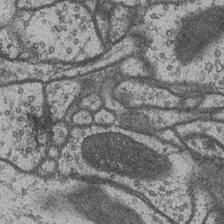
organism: Drosophila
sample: Optic medulla